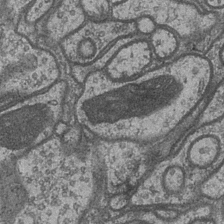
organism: Drosophila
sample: Optic medulla